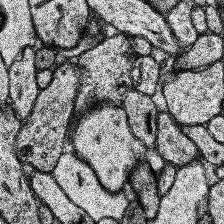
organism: Human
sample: Temporal Lobe